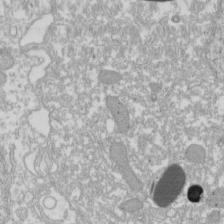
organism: Xenopus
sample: Cilia; centrioles in frog embryo cells